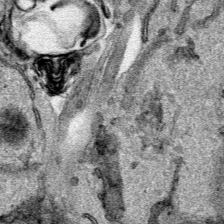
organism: Human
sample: Mitochondria in HCT116 cells